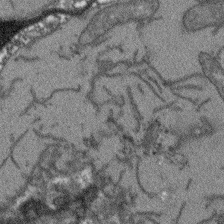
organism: Arabidopsis thaliana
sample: Root tip